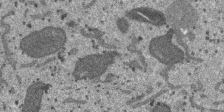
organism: Human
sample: Lung epithelial cells infected with SARS-CoV-2